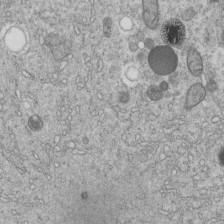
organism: C. elegans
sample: C. elegans embryo early stage